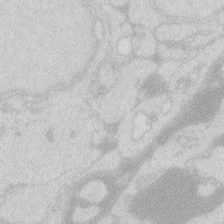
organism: Zebrafish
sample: Macrophage